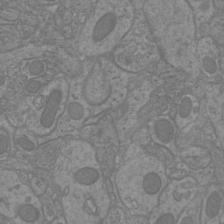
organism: Mouse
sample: Cortical neurons